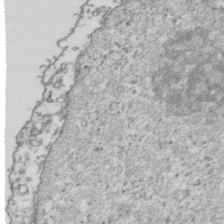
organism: Human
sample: Activated Jurkat CD4+ T cells